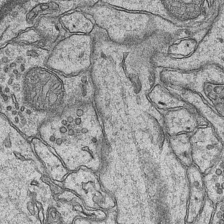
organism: Mouse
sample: CA1 Hippocampus